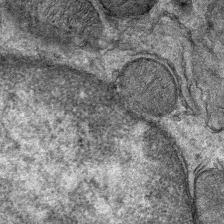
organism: Mouse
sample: Mouse Salivary gland